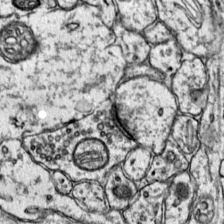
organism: Mouse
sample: Primary visual cortex